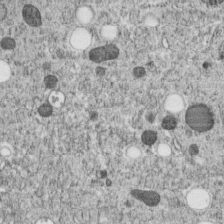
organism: C. elegans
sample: C. elegans embryo early stage